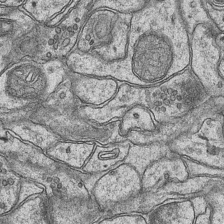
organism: Mouse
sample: CA1 Hippocampus